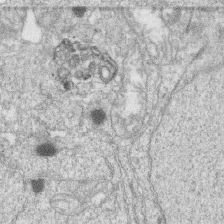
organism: Human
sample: HeLa cell HIV synapse